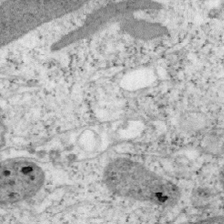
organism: Mouse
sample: OT-I killer T cells with ID8 ovarian cancer cells